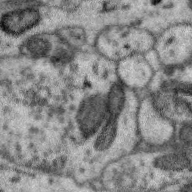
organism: Zebra finch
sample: Brain